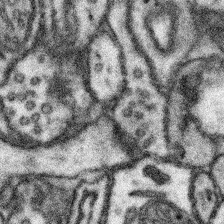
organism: Mouse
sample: Somatosensory cortex neuropil